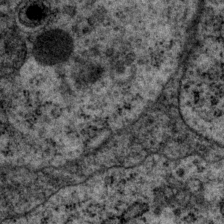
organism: P. pacificus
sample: Pharynx